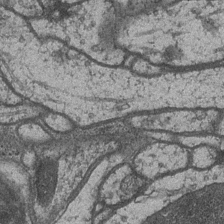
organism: Drosophila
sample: Optic medulla